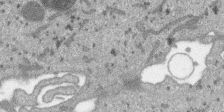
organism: Human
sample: Lung epithelial cells infected with SARS-CoV-2